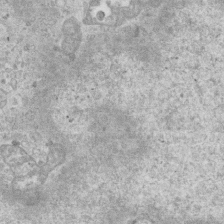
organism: Mouse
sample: Centriole in ependymal cells